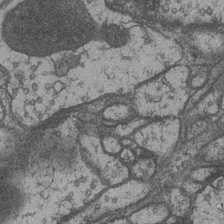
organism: Drosophila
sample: Optic medulla